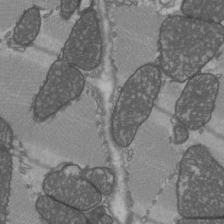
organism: C57BL Mouse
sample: Heart